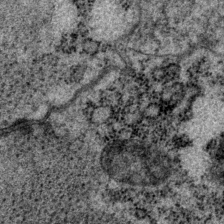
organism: P. pacificus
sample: Pharynx